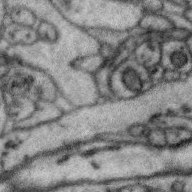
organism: Zebra finch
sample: Brain